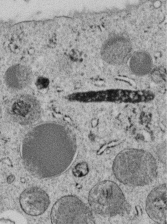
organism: C. elegans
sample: C. elegans embryo early stage